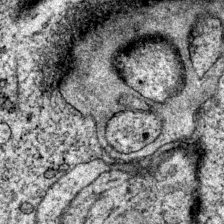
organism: P. pacificus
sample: Pharynx